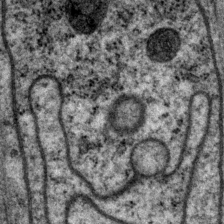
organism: P. pacificus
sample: Pharynx